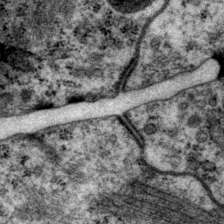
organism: P. pacificus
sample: Pharynx